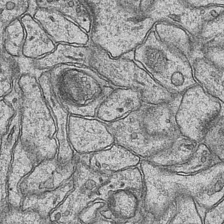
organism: Mouse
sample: CA1 Hippocampus